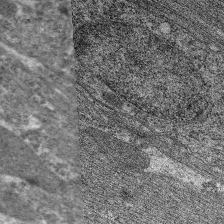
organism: C. elegans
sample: Pharynx